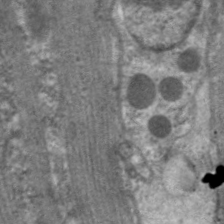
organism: C. elegans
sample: Pharynx